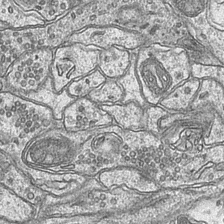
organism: Mouse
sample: CA1 Hippocampus